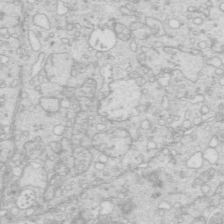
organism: Mouse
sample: Multiciliated cells